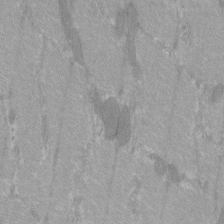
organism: C57BL Mouse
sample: Tibialis anterior muscle cell